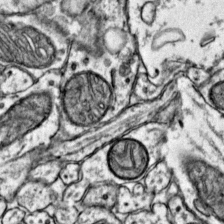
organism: Mouse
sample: Primary visual cortex